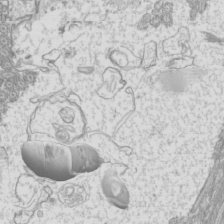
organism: Mouse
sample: Cilia; mouse epididymis